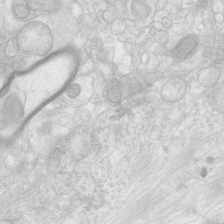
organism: Human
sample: Neocortex